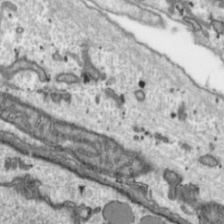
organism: Toxoplasma gondii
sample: Parasites in a vacuole inside a host cell